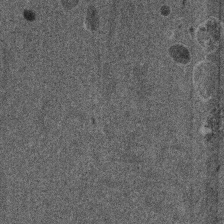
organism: Mouse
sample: Dividing mouse embryo 1 cell stage